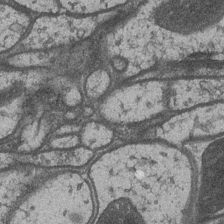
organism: Drosophila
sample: Optic medulla